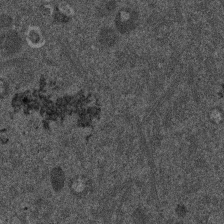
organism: Mouse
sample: Dividing mouse embryo 1 cell stage